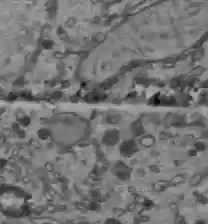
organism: C57BL Mouse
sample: Liver